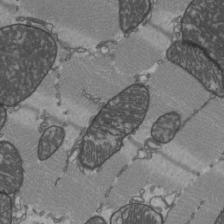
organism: C57BL Mouse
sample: Heart